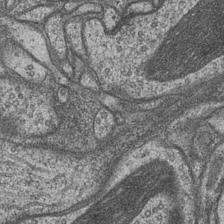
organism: Drosophila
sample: Optic medulla